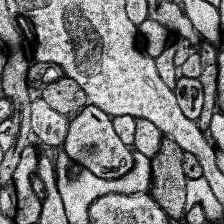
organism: Human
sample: Temporal Lobe